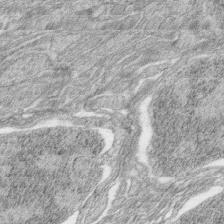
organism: Zebrafish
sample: synaptic ribbons in rod cells and cone cells